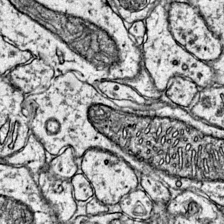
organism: Mouse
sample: Primary visual cortex